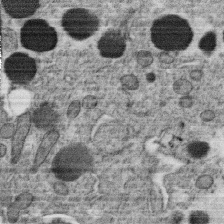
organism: C. elegans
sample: C. elegans oocyte; sperm cells